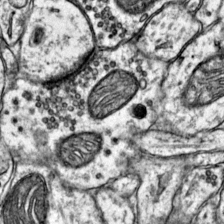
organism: Mouse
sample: Primary visual cortex